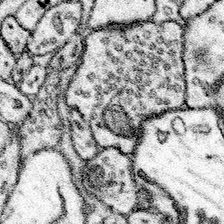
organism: Mouse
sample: Somatosensory cortex neuropil